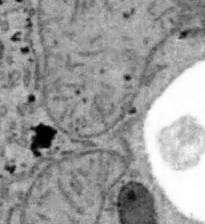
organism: Mouse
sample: Liver from an obese (ob/ob) mouse